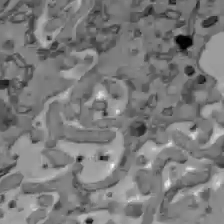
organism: C57BL Mouse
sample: Liver